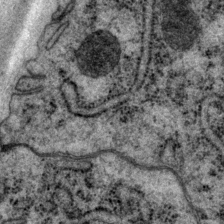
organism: P. pacificus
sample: Pharynx